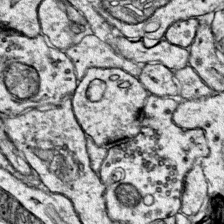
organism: Mouse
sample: Primary visual cortex